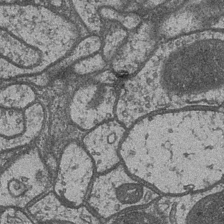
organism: Drosophila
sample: Optic medulla